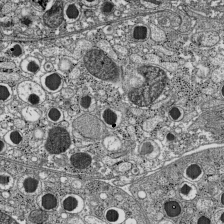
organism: C57BL Mouse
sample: Pancreatic islet